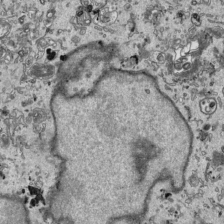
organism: Human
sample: Mitochondria in HCT116 cells